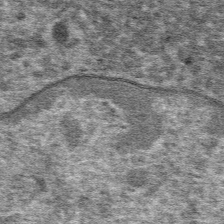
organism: Mouse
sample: Mouse hepatocytes